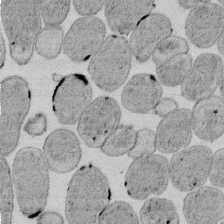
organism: E. coli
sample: Bacterial nucleoid